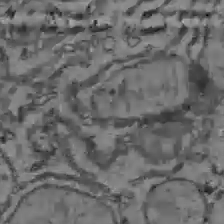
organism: C57BL Mouse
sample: Liver